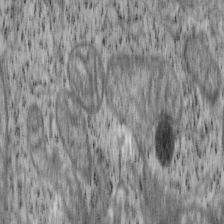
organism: Human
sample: HeLa cells